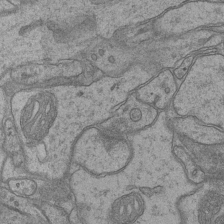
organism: Mouse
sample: CA1 Hippocampus